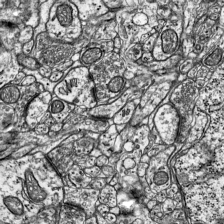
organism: Mouse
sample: Visual Cortex